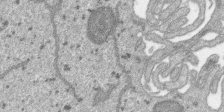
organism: Human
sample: Lung epithelial cells infected with SARS-CoV-2